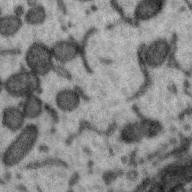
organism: Zebra finch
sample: Brain